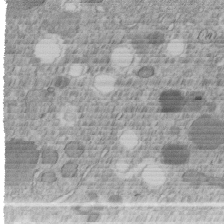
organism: C. elegans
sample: C. elegans embryo early stage